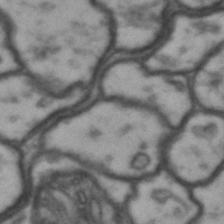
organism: Drosophila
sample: Brain